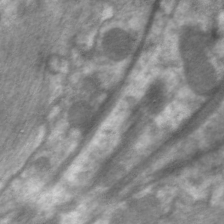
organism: C. elegans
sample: Pharynx